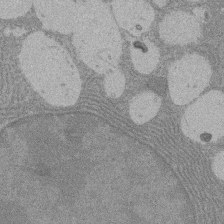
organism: Rat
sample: Salivary granule